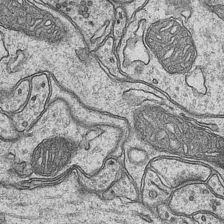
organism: Mouse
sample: CA1 Hippocampus